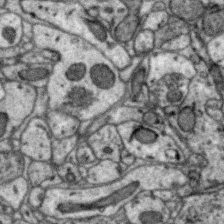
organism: Zebra finch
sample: Brain